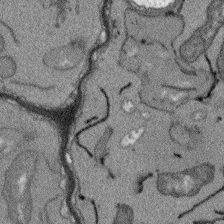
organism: Arabidopsis thaliana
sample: Root tip